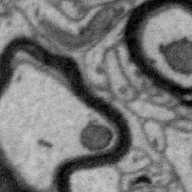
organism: Zebra finch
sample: Brain